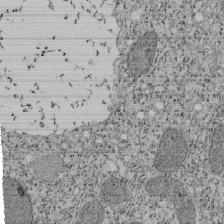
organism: Tetrahymena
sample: Cilia in tetrahymena